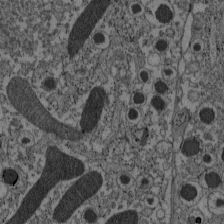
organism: C57BL Mouse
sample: Pancreatic islet